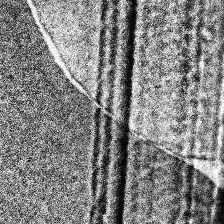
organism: Human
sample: Temporal Lobe